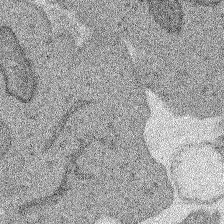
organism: Human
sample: HeLa cells